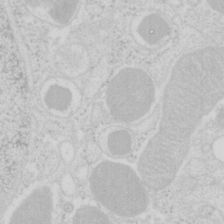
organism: Mouse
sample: Pancreas